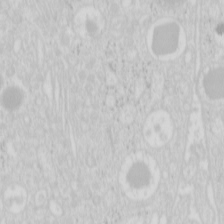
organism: Mouse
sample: Pancreas